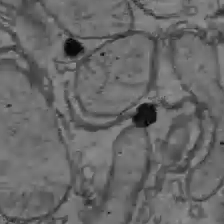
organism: C57BL Mouse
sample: Liver